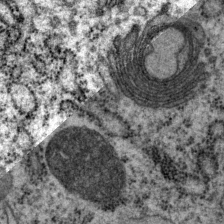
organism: P. pacificus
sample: Pharynx